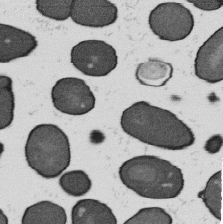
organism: B. subtilis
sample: Bacterial spore